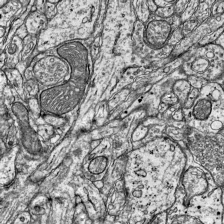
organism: Mouse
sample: Visual Cortex